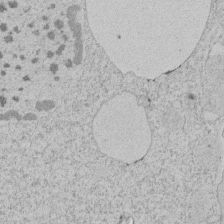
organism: Tetrahymena